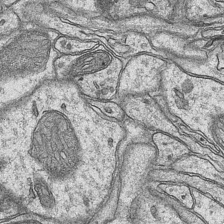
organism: Mouse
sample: CA1 Hippocampus